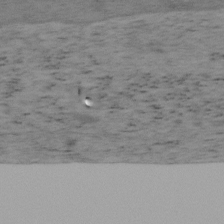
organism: Mouse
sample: OT-I killer T cells with ID8 ovarian cancer cells